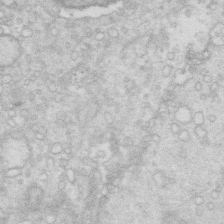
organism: Mouse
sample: Multiciliated cells